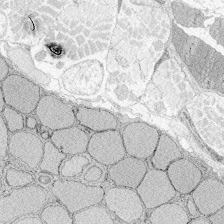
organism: Zebrafish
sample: Whole-Brain